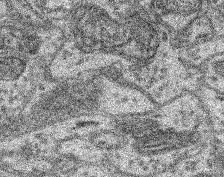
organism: Mouse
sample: Retina